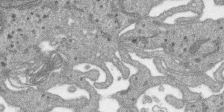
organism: Human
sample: Lung epithelial cells infected with SARS-CoV-2